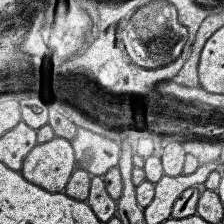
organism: Human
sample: Temporal Lobe